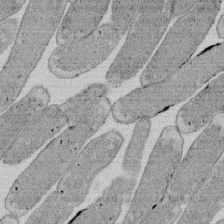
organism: E. coli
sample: Bacterial nucleoid